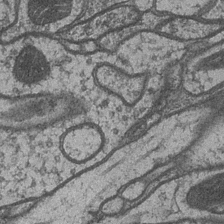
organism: Drosophila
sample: Optic medulla